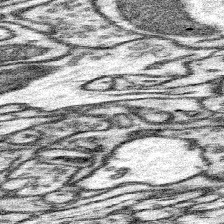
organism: Mouse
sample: Somatosensory cortex neuropil